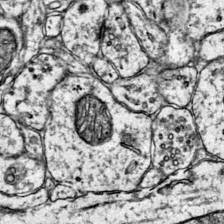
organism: Mouse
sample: Primary visual cortex